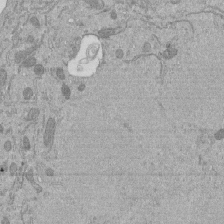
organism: Mouse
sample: ED-1 cell nuclei; centrioles